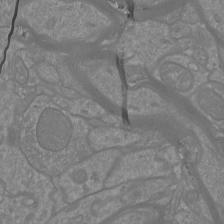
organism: Mouse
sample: Cortical neurons